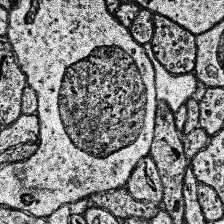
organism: Human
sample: Temporal Lobe